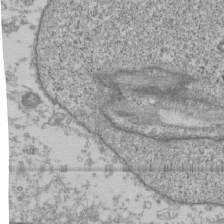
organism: Human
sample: Fibroblast cells